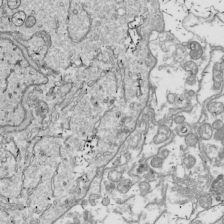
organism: Drosophila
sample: Cell division; meiosis; drosophila spermatocytes